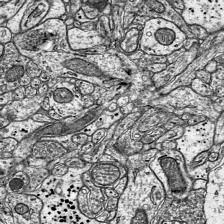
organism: Mouse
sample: Visual Cortex